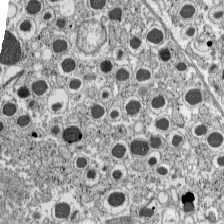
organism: C57BL Mouse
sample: Pancreatic islet